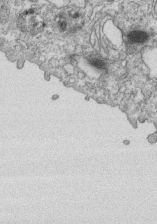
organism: Human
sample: HeLa cell HIV synapse